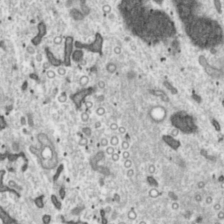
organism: Toxoplasma gondii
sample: Parasites in a vacuole inside a host cell